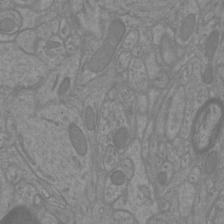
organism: Mouse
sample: Cortical neurons